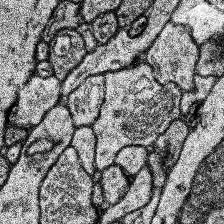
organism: Human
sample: Temporal Lobe